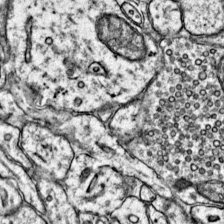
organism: Mouse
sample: Primary visual cortex